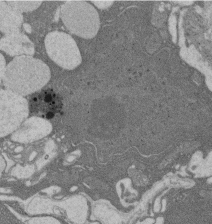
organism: Rat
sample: Salivary granule